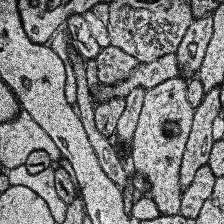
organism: Human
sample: Temporal Lobe